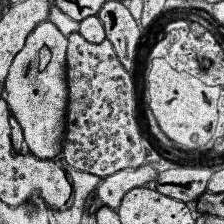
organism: Human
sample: Temporal Lobe